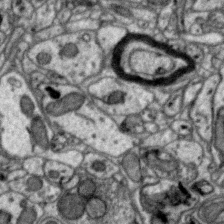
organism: Zebra finch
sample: Brain